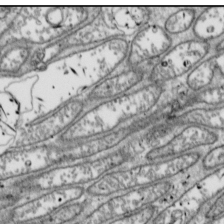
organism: Drosophila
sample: Cell division; meiosis; drosophila spermatocytes